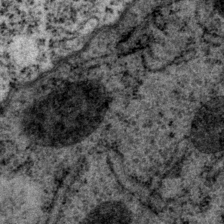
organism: P. pacificus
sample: Pharynx